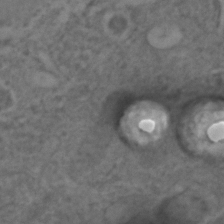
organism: C. elegans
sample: C. elegans embryo